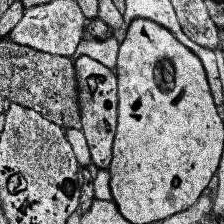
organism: Human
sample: Temporal Lobe